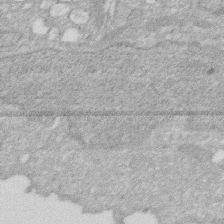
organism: Human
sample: HIV infected U937 cells